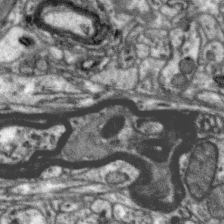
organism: Zebra finch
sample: Brain